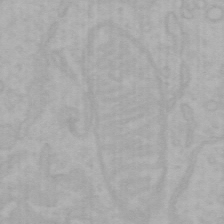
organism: Mouse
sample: Choroid plexus